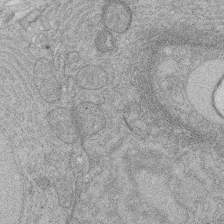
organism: Rat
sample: Salivary granule